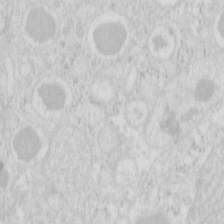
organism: Mouse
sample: Pancreas